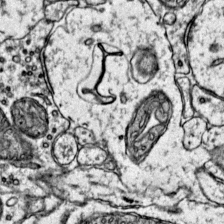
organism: Mouse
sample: Primary visual cortex